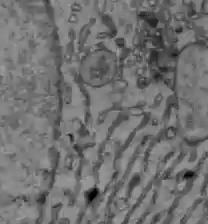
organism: C57BL Mouse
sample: Liver